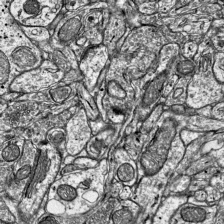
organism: Mouse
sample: Visual Cortex